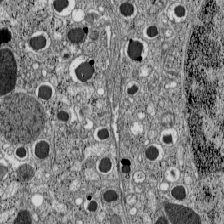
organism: C57BL Mouse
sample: Pancreatic islet